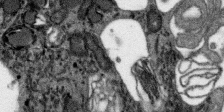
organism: Human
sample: Lung epithelial cells, uninfected (mock) control